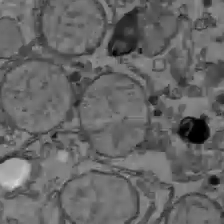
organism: C57BL Mouse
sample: Liver